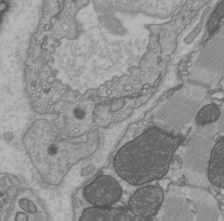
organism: C57BL Mouse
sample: Heart